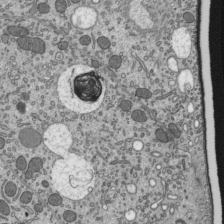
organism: Mouse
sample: Mouse epididymis efferent ductule cilia